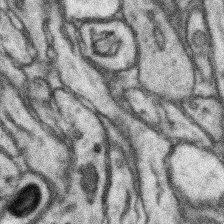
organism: Mouse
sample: Somatosensory cortex neuropil